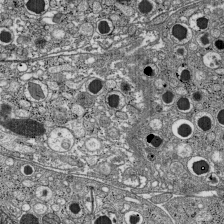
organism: C57BL Mouse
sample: Pancreatic islet